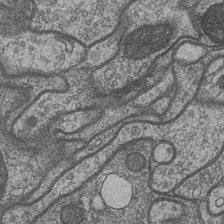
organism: Drosophila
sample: Optic medulla